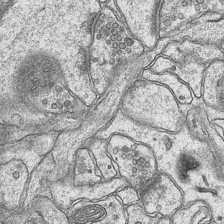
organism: Mouse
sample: CA1 Hippocampus